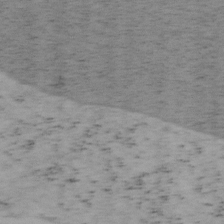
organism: Mouse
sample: OT-I killer T cells with ID8 ovarian cancer cells